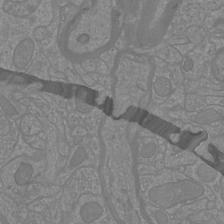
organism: Mouse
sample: Cortical neurons